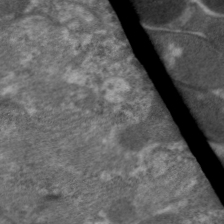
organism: C. elegans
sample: Pharynx